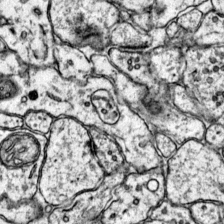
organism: Mouse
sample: Primary visual cortex